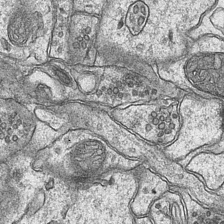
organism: Mouse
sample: CA1 Hippocampus